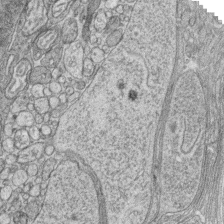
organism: Zebrafish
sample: synaptic ribbons in rod cells and cone cells